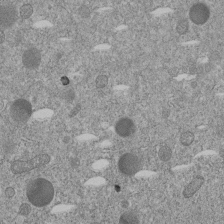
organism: C. elegans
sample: C. elegans embryo early stage